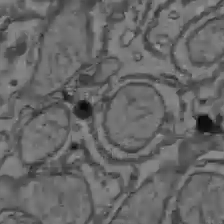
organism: C57BL Mouse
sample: Liver